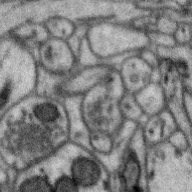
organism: Zebra finch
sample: Brain